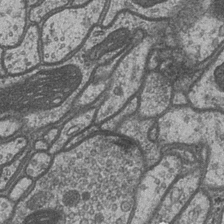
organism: Drosophila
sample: Optic medulla